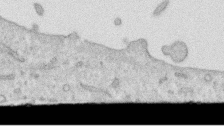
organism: Human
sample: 1205lu cells